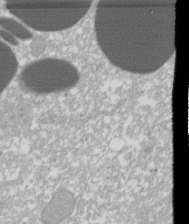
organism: Xenopus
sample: Cilia; centrioles in frog embryo cells